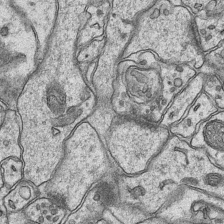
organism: Mouse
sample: CA1 Hippocampus